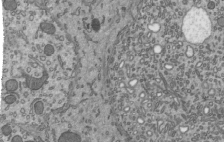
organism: Mouse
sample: Mouse epididymis efferent ductule cilia